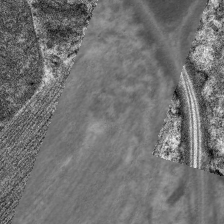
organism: C. elegans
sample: Pharynx